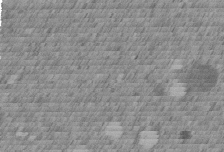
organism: C. elegans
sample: C. elegans embryo early stage